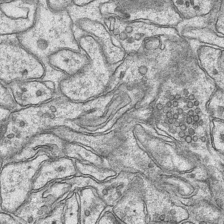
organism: Mouse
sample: CA1 Hippocampus